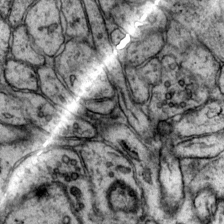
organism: Mouse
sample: Primary visual cortex